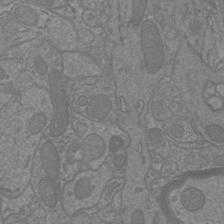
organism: Mouse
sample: Cortical neurons